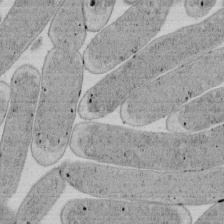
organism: E. coli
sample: Bacterial nucleoid